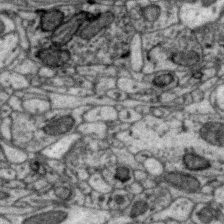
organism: Zebra finch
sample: Brain